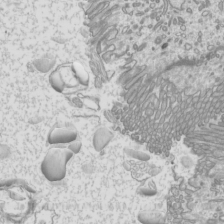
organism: Mouse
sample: Cilia; mouse epididymis